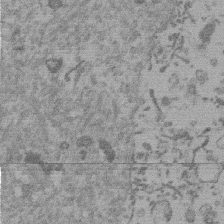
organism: Mouse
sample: Dividing mouse embryo 1 cell stage